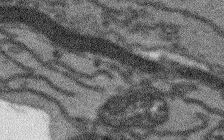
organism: Arabidopsis thaliana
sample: Root tip